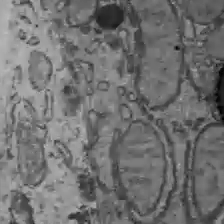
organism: C57BL Mouse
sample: Liver